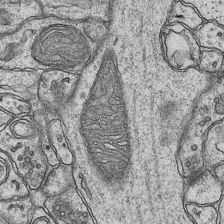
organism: Mouse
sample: CA1 Hippocampus